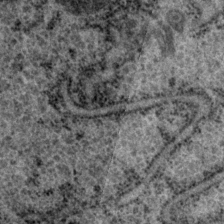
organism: P. pacificus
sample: Pharynx